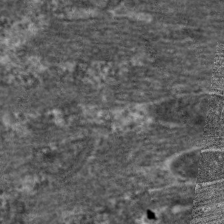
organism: C. elegans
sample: Pharynx